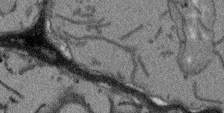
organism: Arabidopsis thaliana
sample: Root tip